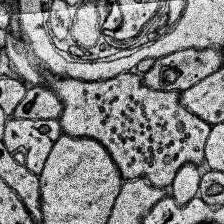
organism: Human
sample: Temporal Lobe